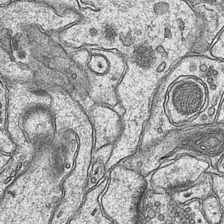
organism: Mouse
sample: CA1 Hippocampus